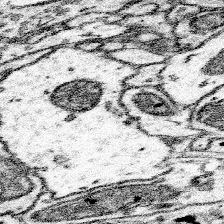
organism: Mouse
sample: Somatosensory cortex neuropil